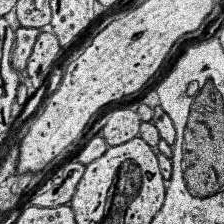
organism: Human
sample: Temporal Lobe